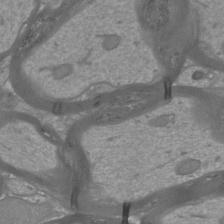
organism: Mouse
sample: Cortical neurons